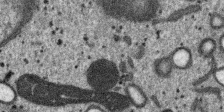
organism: Human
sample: Lung epithelial cells infected with SARS-CoV-2